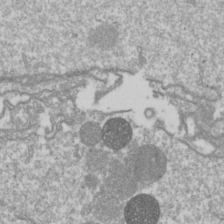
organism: Drosophila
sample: Cell division; meiosis; drosophila spermatocytes